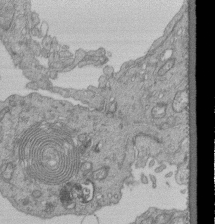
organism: Human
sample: Retinal organoid Rod and Cone cells